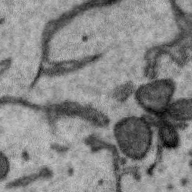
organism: Zebra finch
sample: Brain